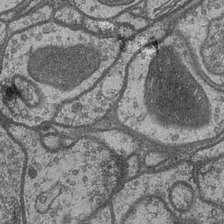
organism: Drosophila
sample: Optic medulla